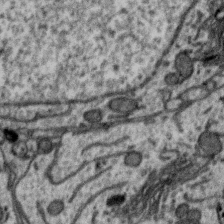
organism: Zebra finch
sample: Brain